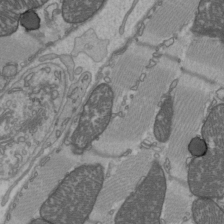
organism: C57BL Mouse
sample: Heart